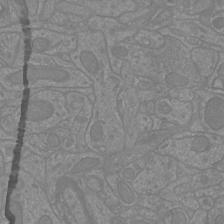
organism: Mouse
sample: Cortical neurons